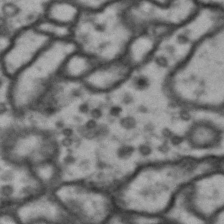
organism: Drosophila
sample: Brain